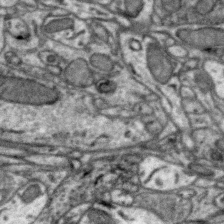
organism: Zebra finch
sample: Brain